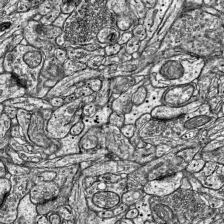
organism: Mouse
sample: Visual Cortex